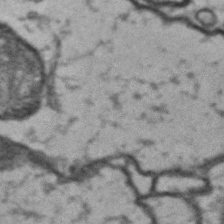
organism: Drosophila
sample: Brain